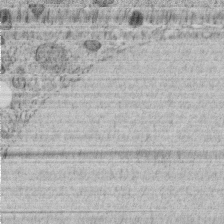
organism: C. elegans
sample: C. elegans embryo early stage